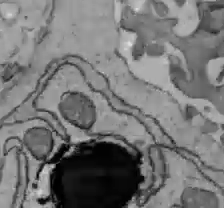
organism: C57BL Mouse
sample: Liver